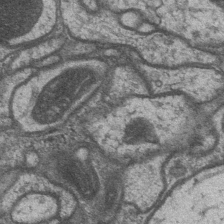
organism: Drosophila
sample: Optic medulla